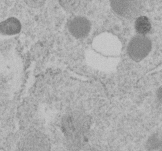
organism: C. elegans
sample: C. elegans embryo early stage